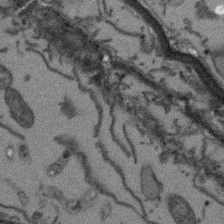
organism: Arabidopsis thaliana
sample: Root tip